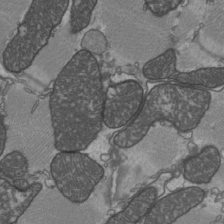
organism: C57BL Mouse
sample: Heart